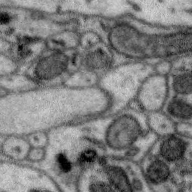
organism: Zebra finch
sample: Brain